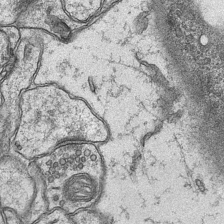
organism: Mouse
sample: CA1 Hippocampus